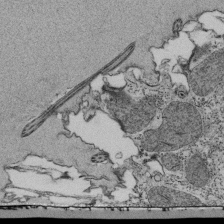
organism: Tetrahymena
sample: Cilia in tetrahymena